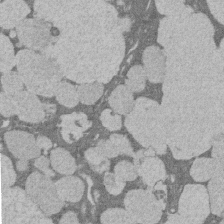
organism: Rat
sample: Salivary granule